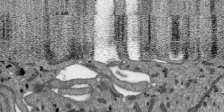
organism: Human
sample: Lung epithelial cells, uninfected (mock) control